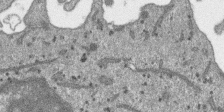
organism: Human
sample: Lung epithelial cells infected with SARS-CoV-2